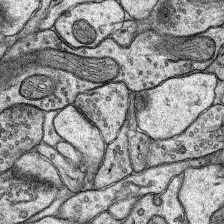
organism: Rat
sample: Hippocampus